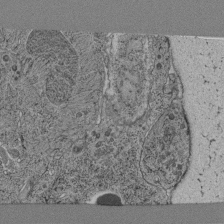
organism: C. elegans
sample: C. elegans pharynx